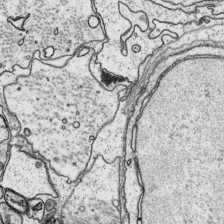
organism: Platynereis dumerilii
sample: Parapodia